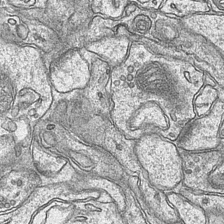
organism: Mouse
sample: CA1 Hippocampus